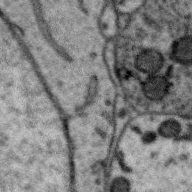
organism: Zebra finch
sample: Brain